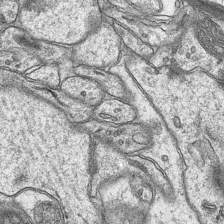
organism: Mouse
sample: CA1 Hippocampus